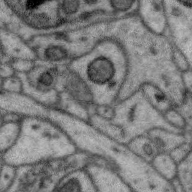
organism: Zebra finch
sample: Brain